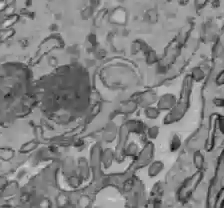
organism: C57BL Mouse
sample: Liver